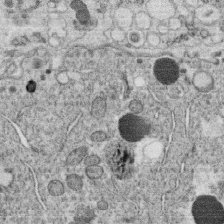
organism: C. elegans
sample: C. elegans oocyte; sperm cells